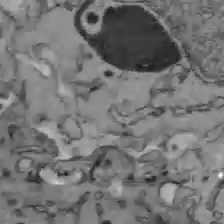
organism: C57BL Mouse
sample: Liver